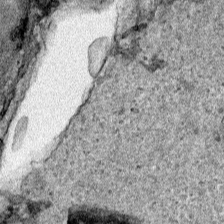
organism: Human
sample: Mitochondria in HCT116 cells